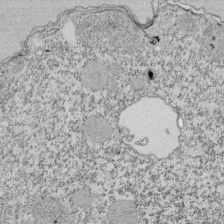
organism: Tetrahymena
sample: Cilia in tetrahymena